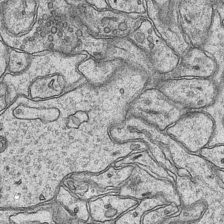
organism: Mouse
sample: CA1 Hippocampus